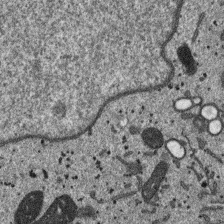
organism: Human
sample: Lung epithelial cells infected with SARS-CoV-2